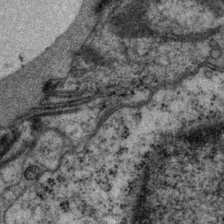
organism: P. pacificus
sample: Pharynx